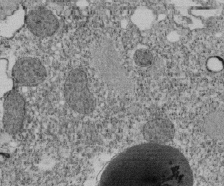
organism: Tetrahymena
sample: Cilia in tetrahymena